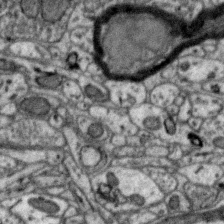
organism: Zebra finch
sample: Brain